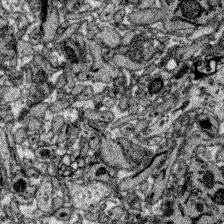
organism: Zebrafish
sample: Larval olfactory bulb